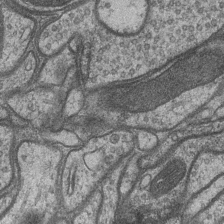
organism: Drosophila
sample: Optic medulla